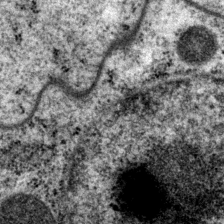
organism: P. pacificus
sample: Pharynx